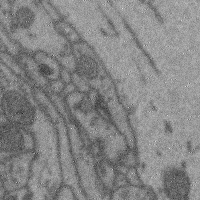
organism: Mouse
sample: Cerebral cortex